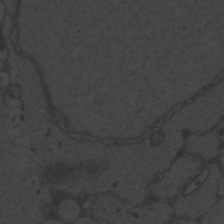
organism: Zebrafish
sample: Macrophage infected with Toxoplasma gondii